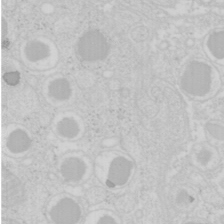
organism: Mouse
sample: Pancreas